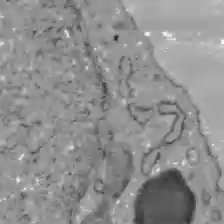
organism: C57BL Mouse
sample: Liver